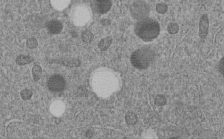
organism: C. elegans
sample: C. elegans embryo early stage